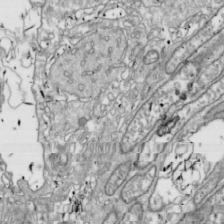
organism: Drosophila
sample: Cell division; meiosis; drosophila spermatocytes